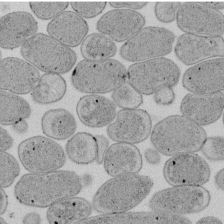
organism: E. coli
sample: Bacterial nucleoid